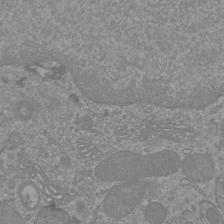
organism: Mouse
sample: Cortical neurons